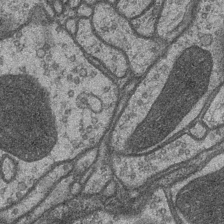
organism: Drosophila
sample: Optic medulla